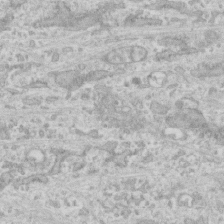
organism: Human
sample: CRL-1474